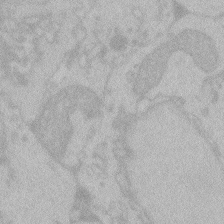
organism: Zebrafish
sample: Macrophage infected with Toxoplasma gondii